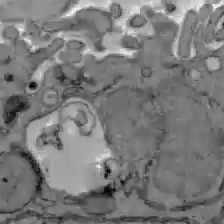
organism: C57BL Mouse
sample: Liver